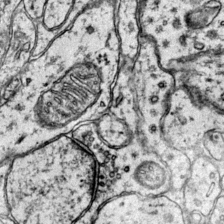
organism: Mouse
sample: Primary visual cortex